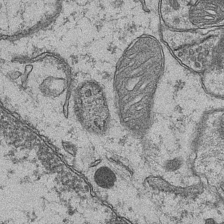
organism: Mouse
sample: CA1 Hippocampus